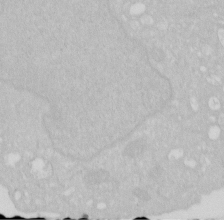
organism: Human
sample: HIV infected U937 cells